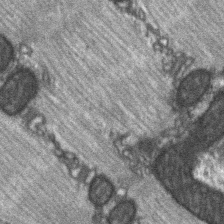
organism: C57BL Mouse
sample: Soleus